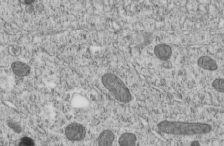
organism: C. elegans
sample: C. elegans embryo early stage